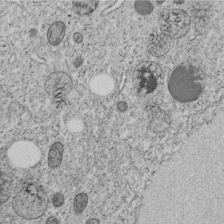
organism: C. elegans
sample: C. elegans embryo early stage